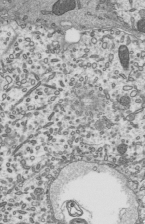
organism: Mouse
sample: Mouse epididymis efferent ductule cilia